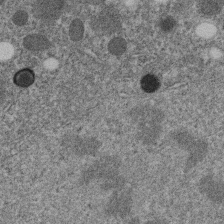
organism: C. elegans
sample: C. elegans embryo early stage